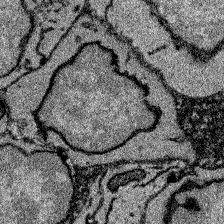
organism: Zebrafish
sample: Larval olfactory bulb